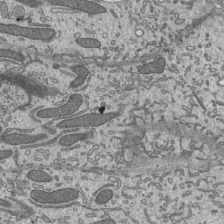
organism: Mouse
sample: Mouse epididymis efferent ductule cilia